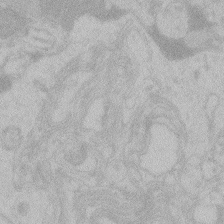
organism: Zebrafish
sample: Macrophage infected with Toxoplasma gondii